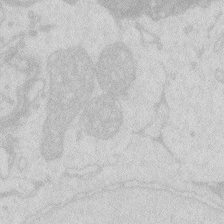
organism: Zebrafish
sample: Macrophage